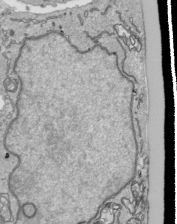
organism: Human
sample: Mitochondria in HCT116 cells